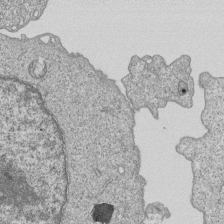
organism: Human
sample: MDA-MB-231 cells